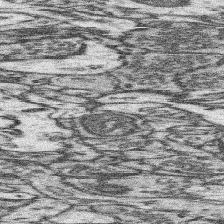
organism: Mouse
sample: Somatosensory cortex neuropil